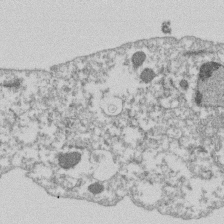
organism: Dictyostelium discoideum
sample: Dictyostelium multivesicular bodies